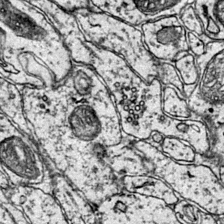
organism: Mouse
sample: Primary visual cortex